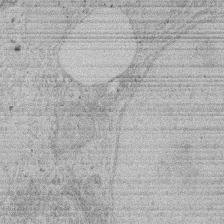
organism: Rat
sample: Salivary granule